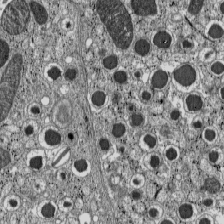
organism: C57BL Mouse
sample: Pancreatic islet